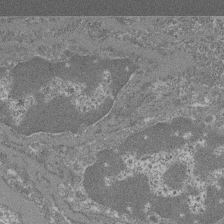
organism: Mouse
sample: Glomerulus